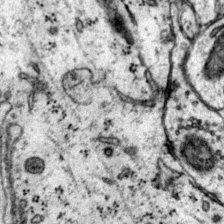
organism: Mouse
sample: Primary visual cortex